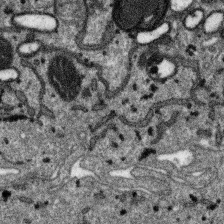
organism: Human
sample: Lung epithelial cells infected with SARS-CoV-2